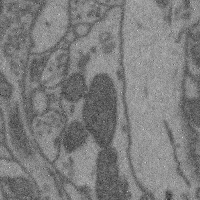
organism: Mouse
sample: Cerebral cortex